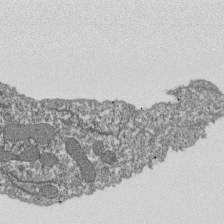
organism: Dictyostelium discoideum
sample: Dictyostelium multivesicular bodies